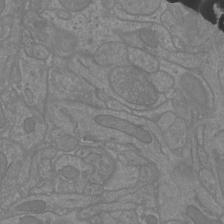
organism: Mouse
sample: Cortical neurons